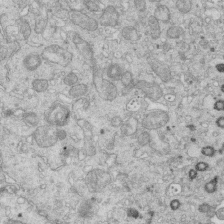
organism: Mouse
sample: Multiciliated cells